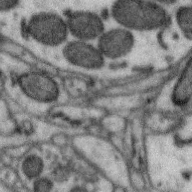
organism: Zebra finch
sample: Brain